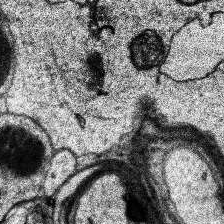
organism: Human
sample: Temporal Lobe